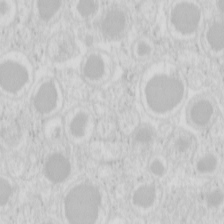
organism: Mouse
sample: Pancreas